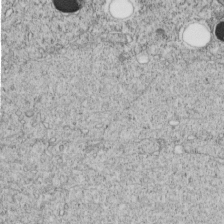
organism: C. elegans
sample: C. elegans embryo early stage